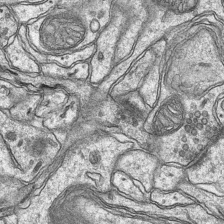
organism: Mouse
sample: CA1 Hippocampus